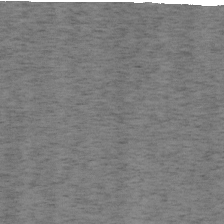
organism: Mouse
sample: OT-I killer T cells with ID8 ovarian cancer cells